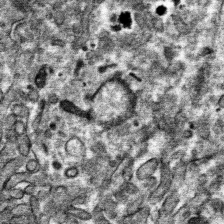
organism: Mouse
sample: Mouse hepatocytes